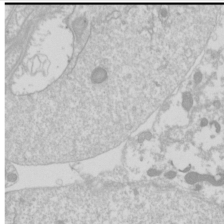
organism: Drosophila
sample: Cell division; meiosis; drosophila spermatocytes